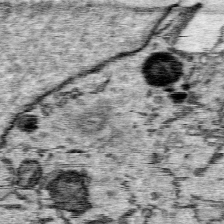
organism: Human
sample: HeLa cells